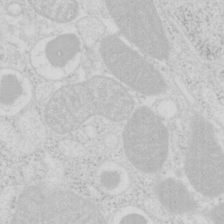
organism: Mouse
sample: Pancreas